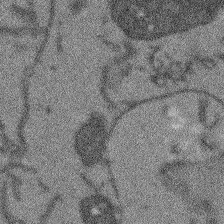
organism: Arabidopsis thaliana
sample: Root tip